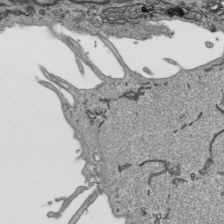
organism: Human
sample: Mitochondria in HCT116 cells